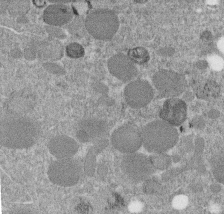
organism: C. elegans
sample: C. elegans embryo early stage